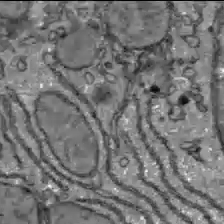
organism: C57BL Mouse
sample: Liver